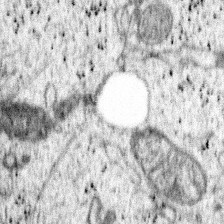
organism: Human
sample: HeLa cells